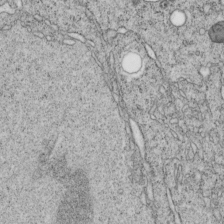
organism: C. elegans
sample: C. elegans embryo early stage